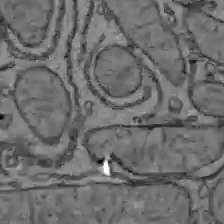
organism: C57BL Mouse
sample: Liver